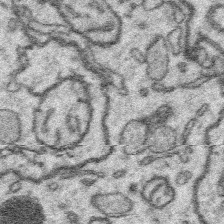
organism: Platynereis dumerilii